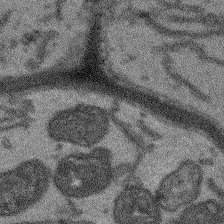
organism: Arabidopsis thaliana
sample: Root tip